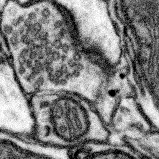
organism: Mouse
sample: Somatosensory cortex neuropil